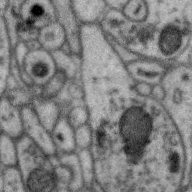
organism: Zebra finch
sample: Brain